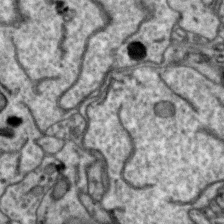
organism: Zebra finch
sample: Brain